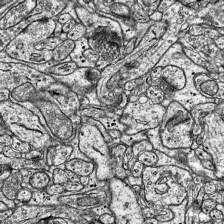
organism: Mouse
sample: Visual Cortex